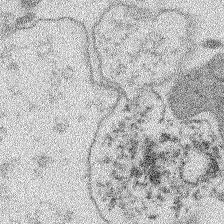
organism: Human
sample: HeLa cells